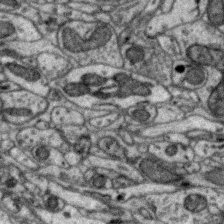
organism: Zebra finch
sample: Brain